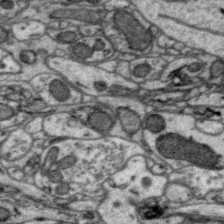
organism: Zebra finch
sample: Brain